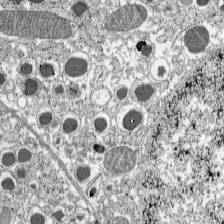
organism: C57BL Mouse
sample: Pancreatic islet